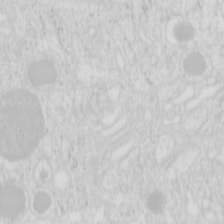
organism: Mouse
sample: Pancreas